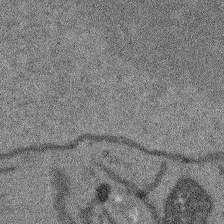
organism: Arabidopsis thaliana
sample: Root tip